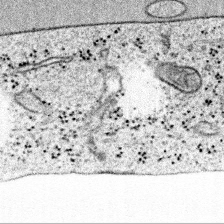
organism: Human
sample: HeLa cells